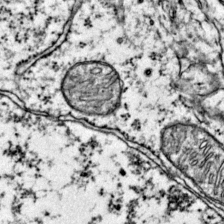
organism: Mouse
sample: Primary visual cortex